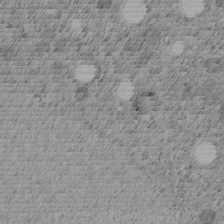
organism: C. elegans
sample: C. elegans embryo early stage